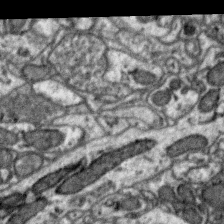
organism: Zebra finch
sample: Brain